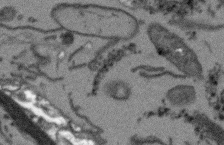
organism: Arabidopsis thaliana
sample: Root tip